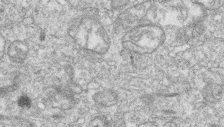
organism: Human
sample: HeLa cell HIV synapse